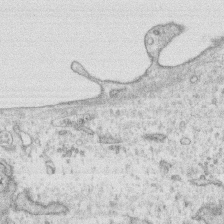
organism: Human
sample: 1205lu cells